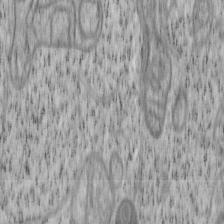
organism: Human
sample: HeLa cells